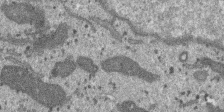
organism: Human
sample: Lung epithelial cells infected with SARS-CoV-2